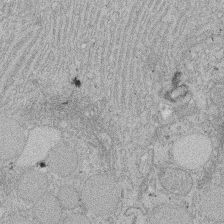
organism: Rat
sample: Salivary granule